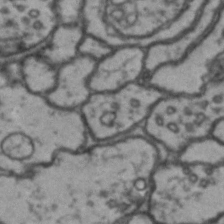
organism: Drosophila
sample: Brain